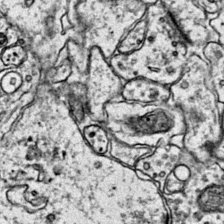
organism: Mouse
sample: Primary visual cortex